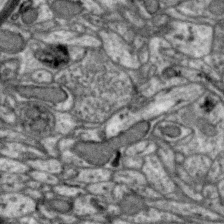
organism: Zebra finch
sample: Brain